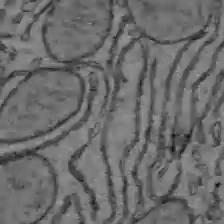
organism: C57BL Mouse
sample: Liver